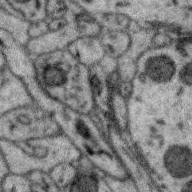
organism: Zebra finch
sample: Brain